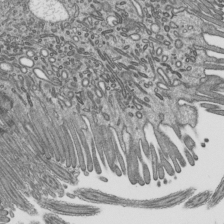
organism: Mouse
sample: Mouse epididymis efferent ductule cilia